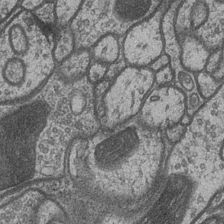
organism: Drosophila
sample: Optic medulla